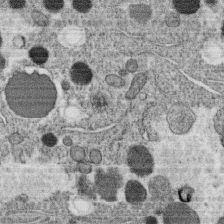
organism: C. elegans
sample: C. elegans oocyte; sperm cells